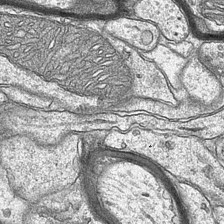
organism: Mouse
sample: CA1 Hippocampus